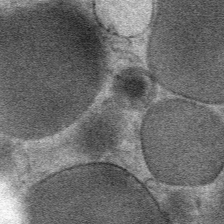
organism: Mouse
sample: Mouse Salivary gland